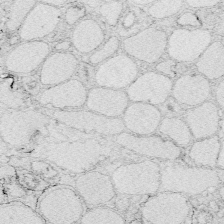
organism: Zebrafish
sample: Whole-Brain